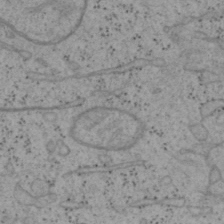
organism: Human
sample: HeLa cells